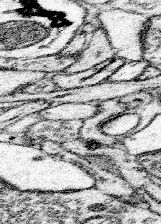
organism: Mouse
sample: Somatosensory cortex neuropil